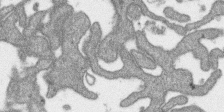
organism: Human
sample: Lung epithelial cells infected with SARS-CoV-2